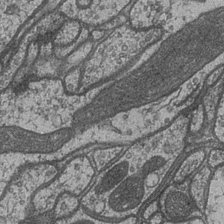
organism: Drosophila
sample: Optic medulla